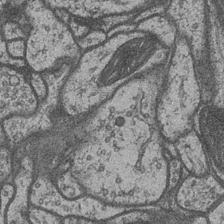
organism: Drosophila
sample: Optic medulla